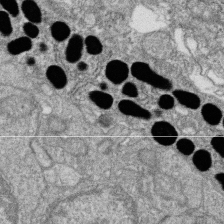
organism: Zebrafish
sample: Cilia; retinal pigment epithelium